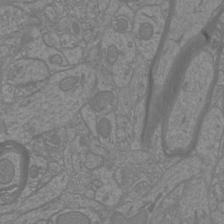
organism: Mouse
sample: Cortical neurons